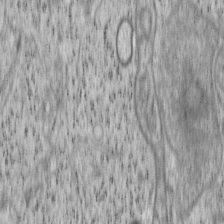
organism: Human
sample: HeLa cells